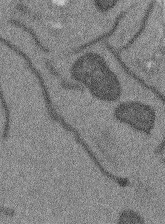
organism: Arabidopsis thaliana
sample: Root tip